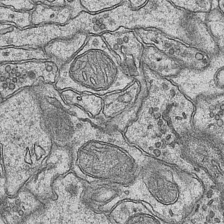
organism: Mouse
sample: CA1 Hippocampus